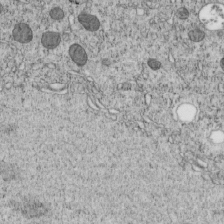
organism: C. elegans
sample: C. elegans embryo early stage